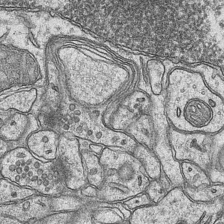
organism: Mouse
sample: CA1 Hippocampus